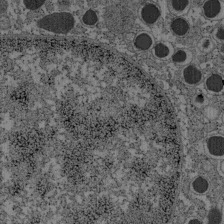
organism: C57BL Mouse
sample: Pancreatic islet